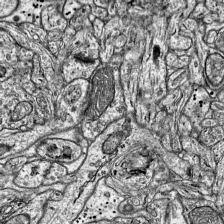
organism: Mouse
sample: Visual Cortex